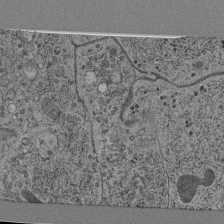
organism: C. elegans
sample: C. elegans pharynx